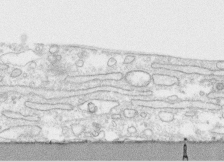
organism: Human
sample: CRL-1474